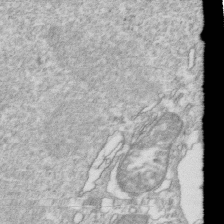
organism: Mouse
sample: Activated OT-1 CD8+ T cells